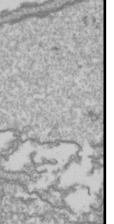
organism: Drosophila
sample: Cell division; meiosis; drosophila spermatocytes